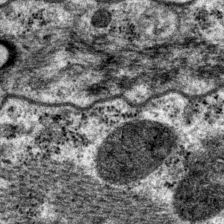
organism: P. pacificus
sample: Pharynx